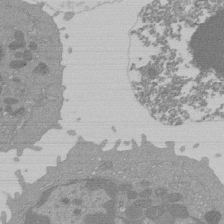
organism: Mouse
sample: Activated Pmel transgenic CD8+ T Cells